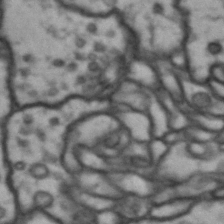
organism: Drosophila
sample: Brain